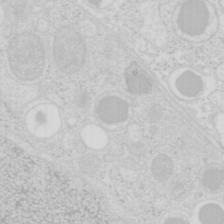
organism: Mouse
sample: Pancreas